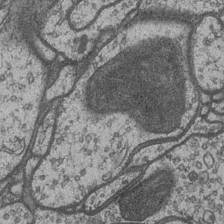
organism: Drosophila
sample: Optic medulla